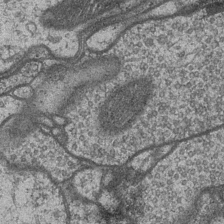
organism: Drosophila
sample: Optic medulla